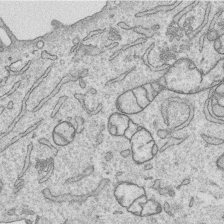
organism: Human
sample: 1205lu cells